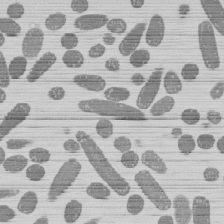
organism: E. coli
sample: Bacterial nucleoid